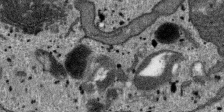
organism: Human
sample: Lung epithelial cells, uninfected (mock) control